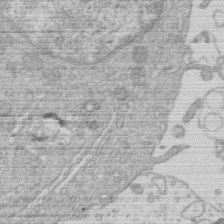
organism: Human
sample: Macrophage cells